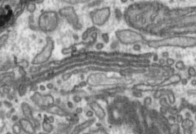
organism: Toxoplasma gondii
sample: Parasites in a vacuole inside a host cell